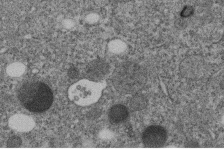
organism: C. elegans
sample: C. elegans embryo early stage